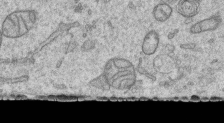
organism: Human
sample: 1205lu cells